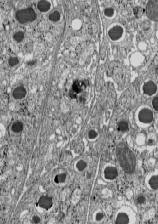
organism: C57BL Mouse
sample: Pancreatic islet